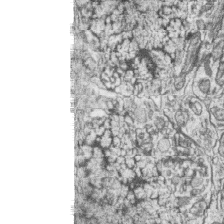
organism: Zebrafish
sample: synaptic ribbons in rod cells and cone cells